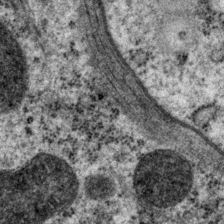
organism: P. pacificus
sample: Pharynx